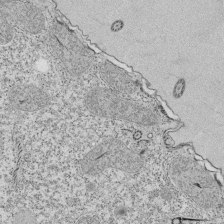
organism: Tetrahymena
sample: Cilia in tetrahymena